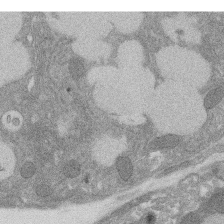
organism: Rat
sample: Salivary granule